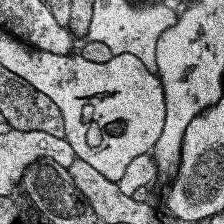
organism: Human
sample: Temporal Lobe